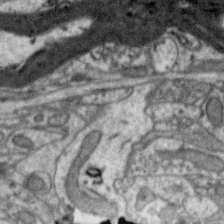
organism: Zebra finch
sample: Brain